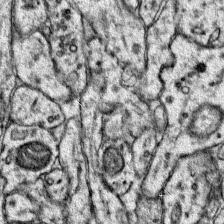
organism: Mouse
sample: Primary visual cortex